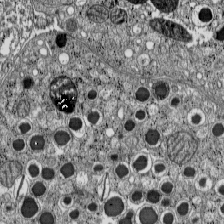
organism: C57BL Mouse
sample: Pancreatic islet